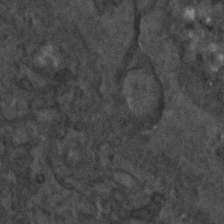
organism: C. elegans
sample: C. elegans embryo